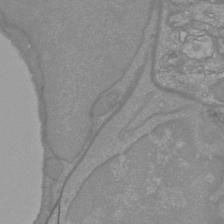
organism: Mouse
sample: Cortical neurons